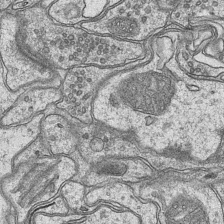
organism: Mouse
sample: CA1 Hippocampus